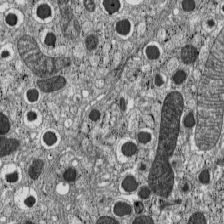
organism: C57BL Mouse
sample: Pancreatic islet